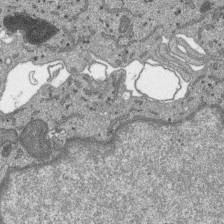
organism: Human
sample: Lung epithelial cells infected with SARS-CoV-2